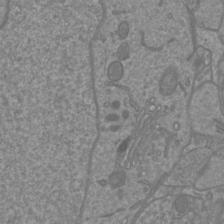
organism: Mouse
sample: Cortical neurons